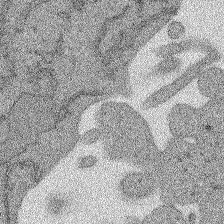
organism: Human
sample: HeLa cells